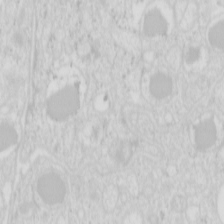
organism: Mouse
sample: Pancreas